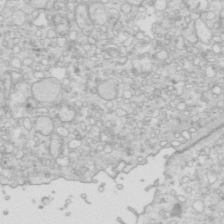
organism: Mouse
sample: Multiciliated cells